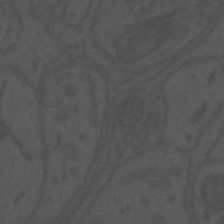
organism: Mouse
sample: Suprachiasmatic nucleus